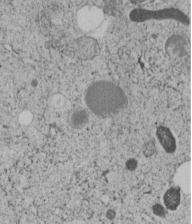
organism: C. elegans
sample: C. elegans embryo early stage